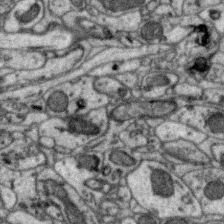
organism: Zebra finch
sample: Brain